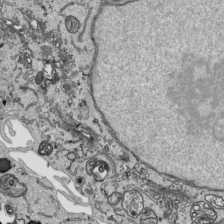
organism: Human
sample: Mitochondria in HCT116 cells